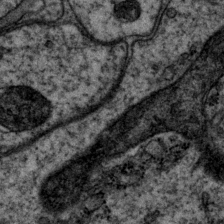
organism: P. pacificus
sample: Pharynx